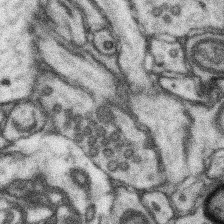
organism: Mouse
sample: Somatosensory cortex neuropil